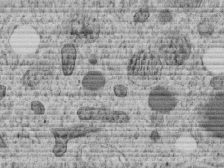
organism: C. elegans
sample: C. elegans embryo early stage